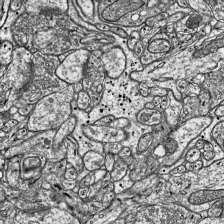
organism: Mouse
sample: Visual Cortex